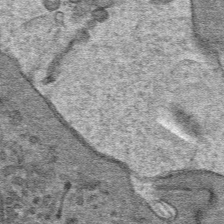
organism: Mouse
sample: Mouse hepatocytes